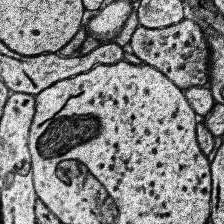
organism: Human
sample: Temporal Lobe